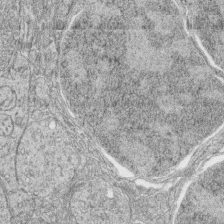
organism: Zebrafish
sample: synaptic ribbons in rod cells and cone cells